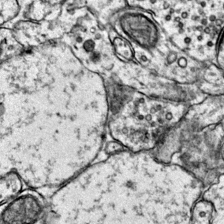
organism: Mouse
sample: Primary visual cortex